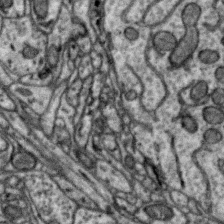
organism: Zebra finch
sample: Brain